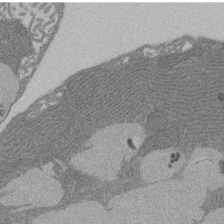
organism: Rat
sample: Salivary granule